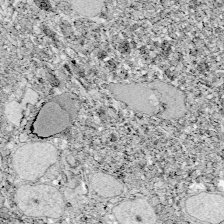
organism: Zebrafish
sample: Whole-Brain